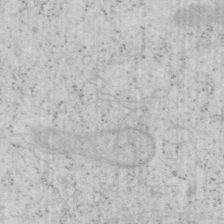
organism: Human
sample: HeLa cells